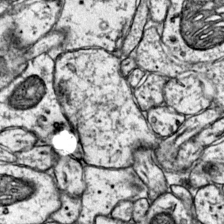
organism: Mouse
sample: Primary visual cortex